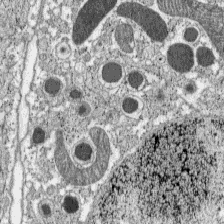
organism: C57BL Mouse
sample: Pancreatic islet